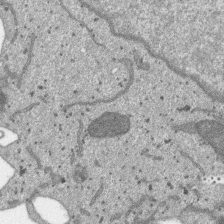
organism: Human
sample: Lung epithelial cells infected with SARS-CoV-2